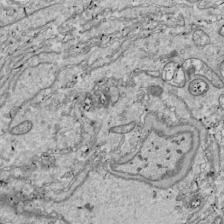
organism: Drosophila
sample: Cell division; meiosis; drosophila spermatocytes